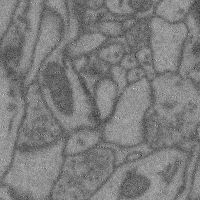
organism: Mouse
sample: Cerebral cortex